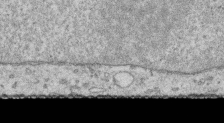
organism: Human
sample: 1205lu cells